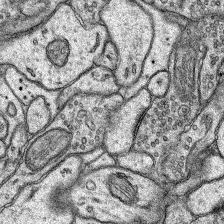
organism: Rat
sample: Hippocampus